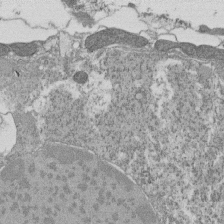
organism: Tetrahymena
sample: Cilia in tetrahymena